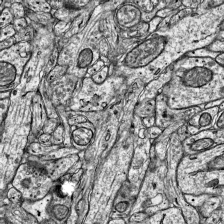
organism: Mouse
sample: Visual Cortex